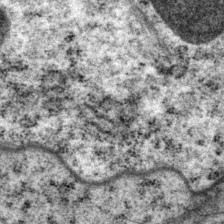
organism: P. pacificus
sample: Pharynx